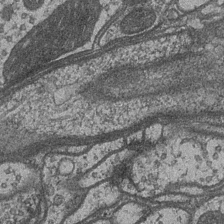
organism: Drosophila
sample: Optic medulla